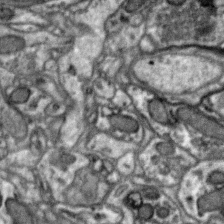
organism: Zebra finch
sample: Brain